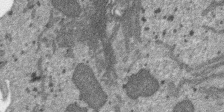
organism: Human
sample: Lung epithelial cells infected with SARS-CoV-2